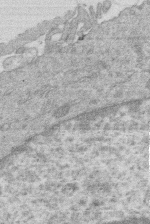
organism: Human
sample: Macrophage cells